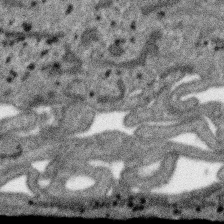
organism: Human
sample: Lung epithelial cells infected with SARS-CoV-2